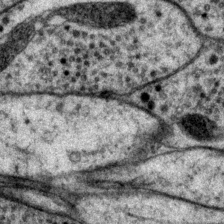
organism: P. pacificus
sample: Pharynx